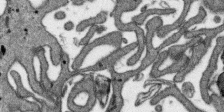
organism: Human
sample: Lung epithelial cells, uninfected (mock) control